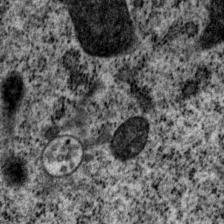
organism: P. pacificus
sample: Pharynx